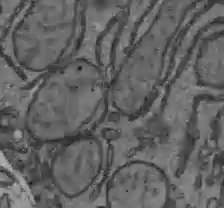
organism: C57BL Mouse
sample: Liver